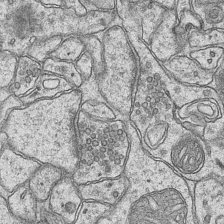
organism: Mouse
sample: CA1 Hippocampus